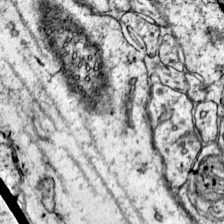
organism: Mouse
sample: Primary visual cortex